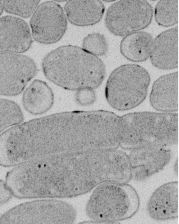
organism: E. coli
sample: Bacterial nucleoid